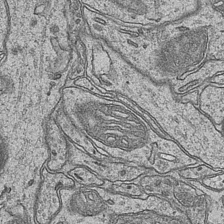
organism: Mouse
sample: CA1 Hippocampus